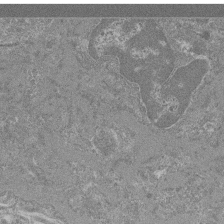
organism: Mouse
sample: Glomerulus